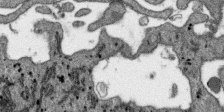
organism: Human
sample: Lung epithelial cells, uninfected (mock) control